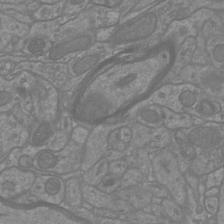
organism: Mouse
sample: Cortical neurons